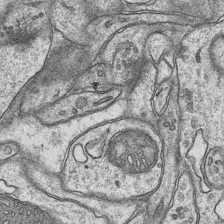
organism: Mouse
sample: CA1 Hippocampus